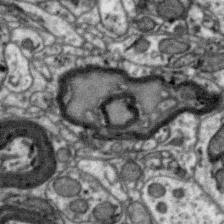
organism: Zebra finch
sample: Brain